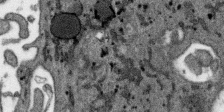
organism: Human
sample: Lung epithelial cells, uninfected (mock) control